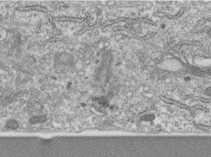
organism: Human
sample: Centriole in RPE cells